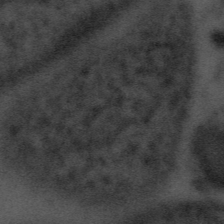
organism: Tuwongella immobilis